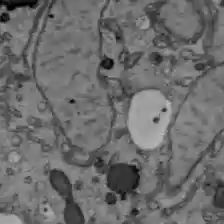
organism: C57BL Mouse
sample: Liver